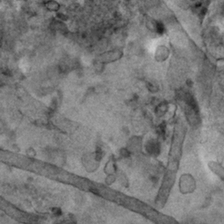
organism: Human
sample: Mitochondria in HCT116 cells